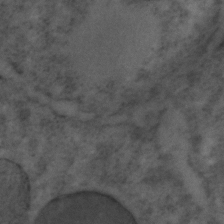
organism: C. elegans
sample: C. elegans embryo